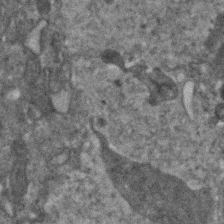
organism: Human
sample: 1205lu cells